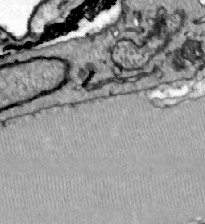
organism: Zebrafish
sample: Actinotrichia fibers